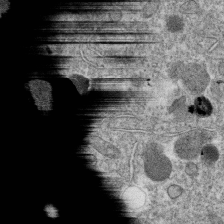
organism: C. elegans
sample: C. elegans oocyte; sperm cells